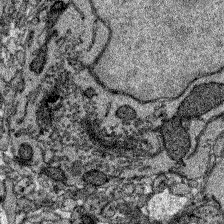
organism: Zebrafish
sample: Larval olfactory bulb